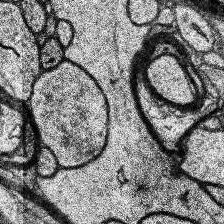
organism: Human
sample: Temporal Lobe